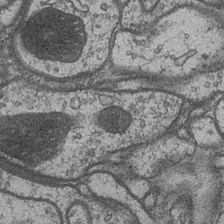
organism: Drosophila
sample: Optic medulla